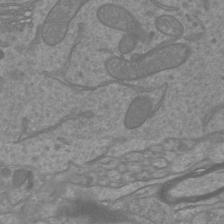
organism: Mouse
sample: Cortical neurons